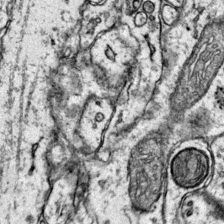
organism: Mouse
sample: Primary visual cortex